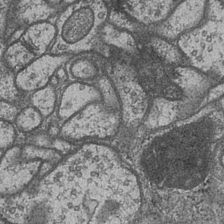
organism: Drosophila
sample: Optic medulla